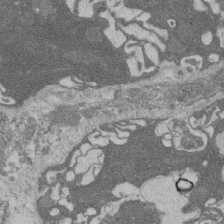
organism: Rat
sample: Salivary granule